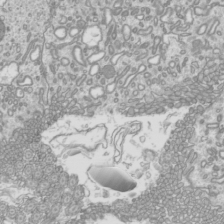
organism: Mouse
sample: Cilia; mouse epididymis